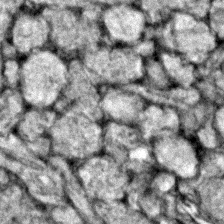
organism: Zebrafish